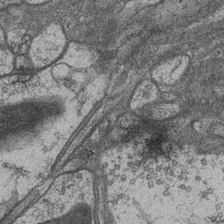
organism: Drosophila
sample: Optic medulla